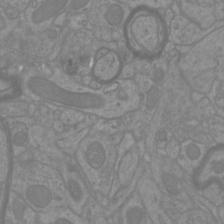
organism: Mouse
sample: Cortical neurons